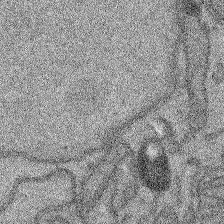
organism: Human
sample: HeLa cells